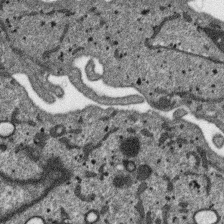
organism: Human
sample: Lung epithelial cells infected with SARS-CoV-2